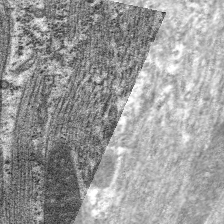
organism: C. elegans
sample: Pharynx